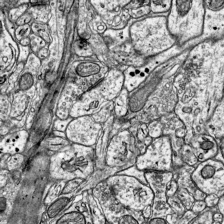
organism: Mouse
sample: Visual Cortex